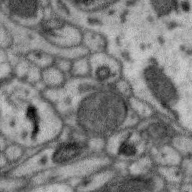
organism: Zebra finch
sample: Brain